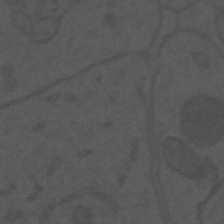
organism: Mouse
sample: Suprachiasmatic nucleus